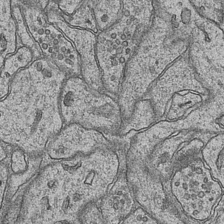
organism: Mouse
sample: CA1 Hippocampus